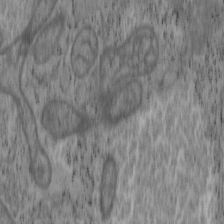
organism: Human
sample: HeLa cells